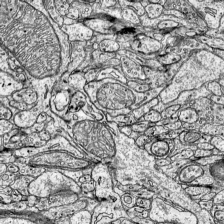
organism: Mouse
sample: Visual Cortex